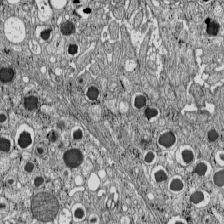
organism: C57BL Mouse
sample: Pancreatic islet